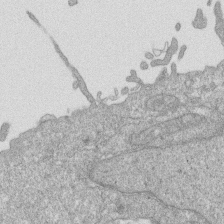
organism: Human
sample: HeLa cell HIV synapse